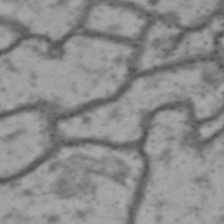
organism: Drosophila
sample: Brain